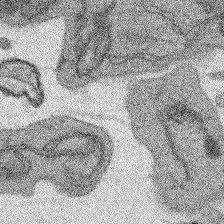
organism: Human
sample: HeLa cells